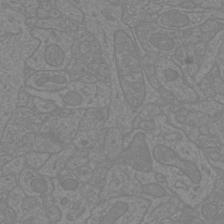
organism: Mouse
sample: Cortical neurons